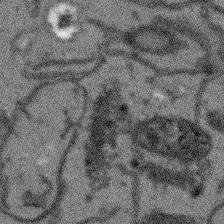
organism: Arabidopsis thaliana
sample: Root tip